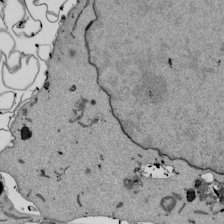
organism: Mouse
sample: ED-1 cell nuclei; centrioles